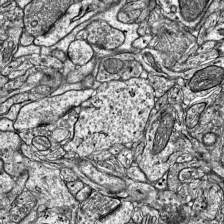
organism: Mouse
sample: Visual Cortex